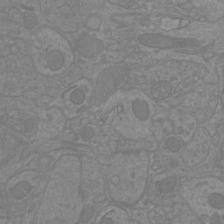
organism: Mouse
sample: Cortical neurons